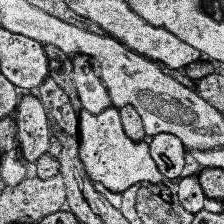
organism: Human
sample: Temporal Lobe